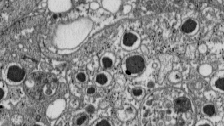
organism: C57BL Mouse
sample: Pancreatic islet